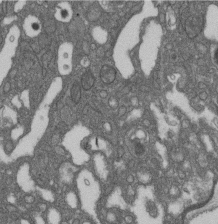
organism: Drosophila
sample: Nephrocyte